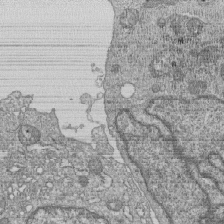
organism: Human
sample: MDA-MB-231 cells